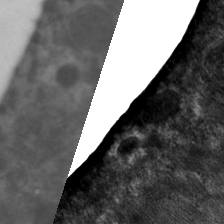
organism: C. elegans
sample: Pharynx